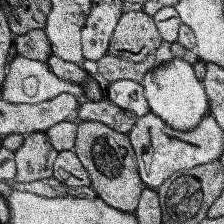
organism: Human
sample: Temporal Lobe